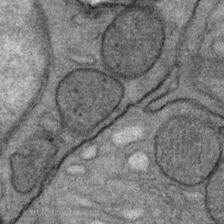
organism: Mouse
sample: Mouse Salivary gland